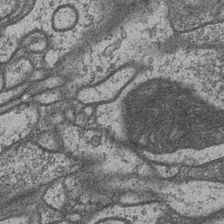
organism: Drosophila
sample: Optic medulla